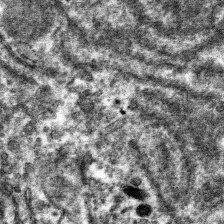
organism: Mouse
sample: Mouse hepatocytes